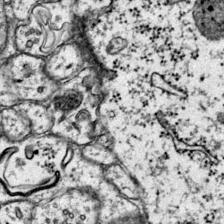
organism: Mouse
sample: Primary visual cortex